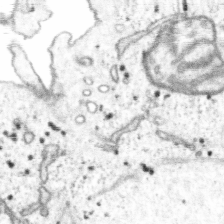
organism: Human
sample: HeLa cells